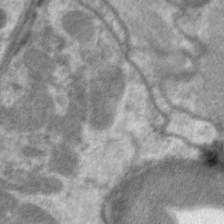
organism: C. elegans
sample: Pharynx